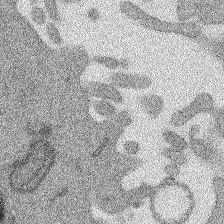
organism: Human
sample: HeLa cells